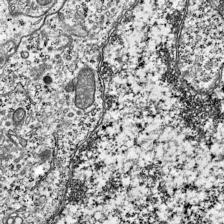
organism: Mouse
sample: Visual Cortex